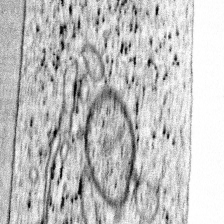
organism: Human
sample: HeLa cells